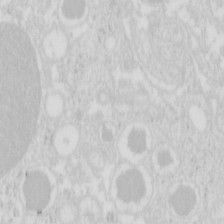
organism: Mouse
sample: Pancreas